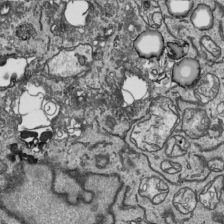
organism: Human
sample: Mitochondria in HCT116 cells